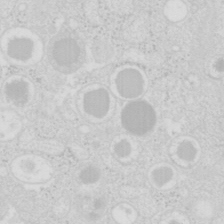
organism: Mouse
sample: Pancreas